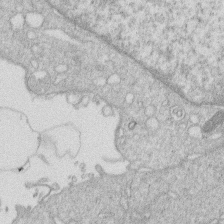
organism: Human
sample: Macrophage cells